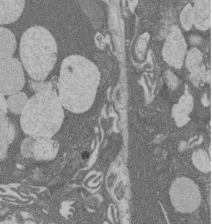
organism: Rat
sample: Salivary granule